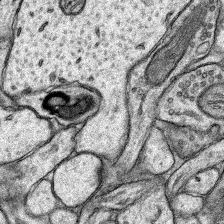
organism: Rat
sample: Hippocampus